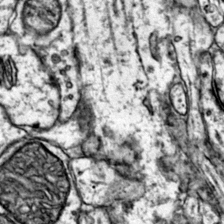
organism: Mouse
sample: Primary visual cortex